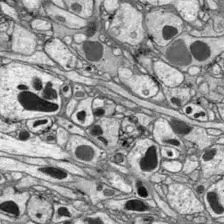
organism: Drosophila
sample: Optic lobe